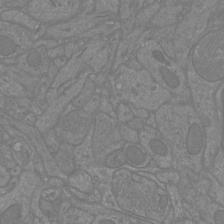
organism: Mouse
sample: Cortical neurons